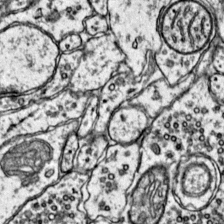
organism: Mouse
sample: Primary visual cortex